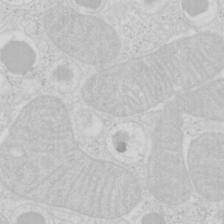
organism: Mouse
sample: Pancreas